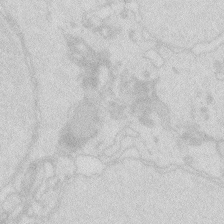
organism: Zebrafish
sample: Macrophage